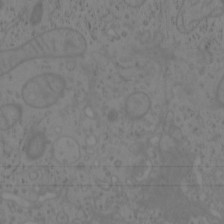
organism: Human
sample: HeLa cells